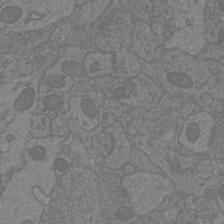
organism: Mouse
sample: Cortical neurons